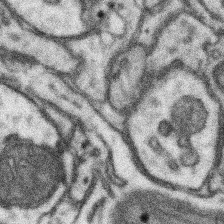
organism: Mouse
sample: Somatosensory cortex neuropil